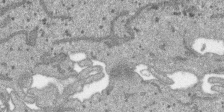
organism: Human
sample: Lung epithelial cells infected with SARS-CoV-2